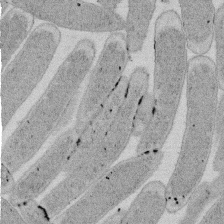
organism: E. coli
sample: Bacterial nucleoid